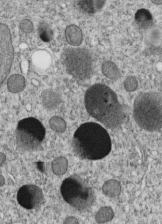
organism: C. elegans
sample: C. elegans embryo early stage